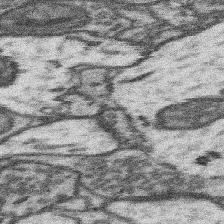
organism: Mouse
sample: Somatosensory cortex neuropil